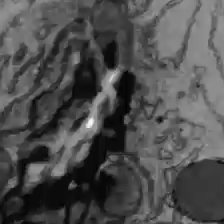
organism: C57BL Mouse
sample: Liver